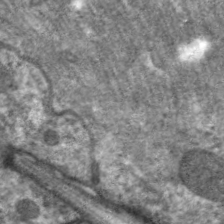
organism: C. elegans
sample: Pharynx